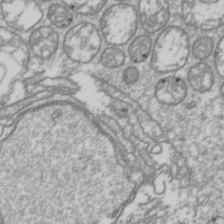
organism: Drosophila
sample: Cell division; meiosis; drosophila spermatocytes